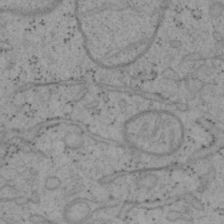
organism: Human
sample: HeLa cells